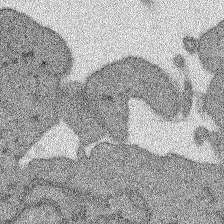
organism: Human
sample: HeLa cells